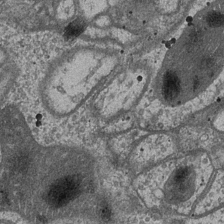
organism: Drosophila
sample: Optic medulla